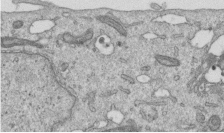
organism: Human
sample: Centriole in RPE cells